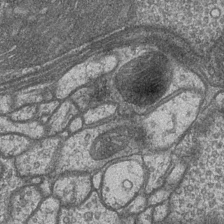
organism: Drosophila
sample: Optic medulla